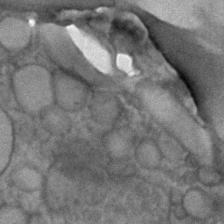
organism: Human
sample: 1205lu cells